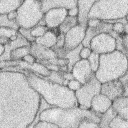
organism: Rabbit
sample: Retina